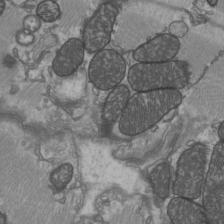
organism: C57BL Mouse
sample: Heart